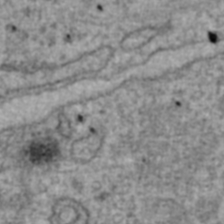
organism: Human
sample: Blood